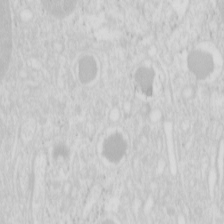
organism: Mouse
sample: Pancreas